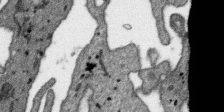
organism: Human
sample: Lung epithelial cells, uninfected (mock) control